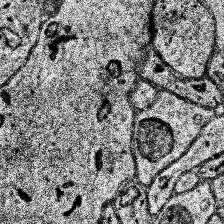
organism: Human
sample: Temporal Lobe